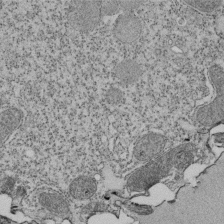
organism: Tetrahymena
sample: Cilia in tetrahymena